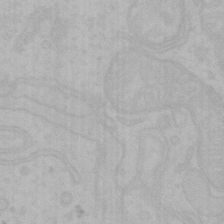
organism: Mouse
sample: Choroid plexus